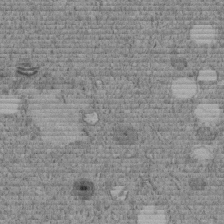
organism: C. elegans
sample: C. elegans embryo early stage